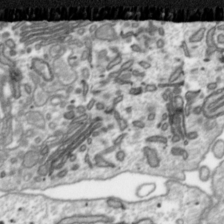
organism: Toxoplasma gondii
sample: Parasites in a vacuole inside a host cell